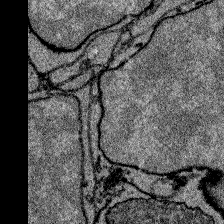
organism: Zebrafish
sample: Larval olfactory bulb